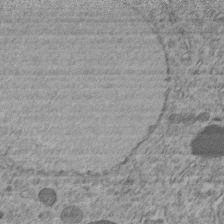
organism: C. elegans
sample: C. elegans embryo early stage